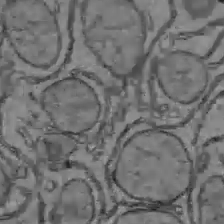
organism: C57BL Mouse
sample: Liver